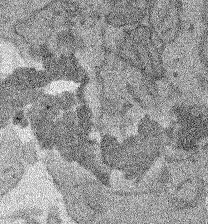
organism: Human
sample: HeLa cells